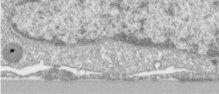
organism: Human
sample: Centriole in RPE cells